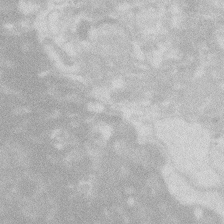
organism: Zebrafish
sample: Macrophage